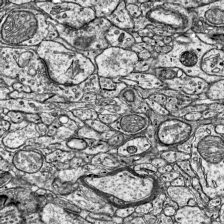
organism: Mouse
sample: Visual Cortex